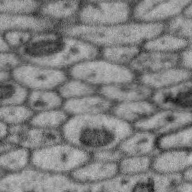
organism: Zebra finch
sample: Brain